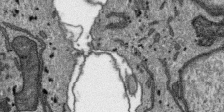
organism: Human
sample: Lung epithelial cells, uninfected (mock) control